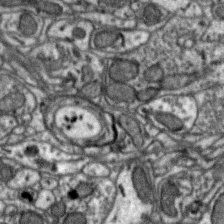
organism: Zebra finch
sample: Brain